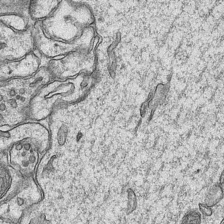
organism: Mouse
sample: CA1 Hippocampus